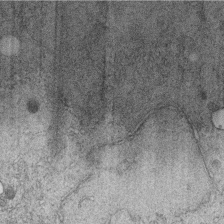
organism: C. elegans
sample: C. elegans embryo early stage